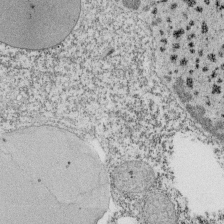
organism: Tetrahymena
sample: Cilia in tetrahymena